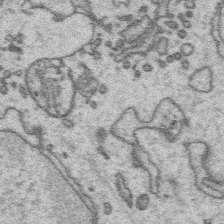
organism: Platynereis dumerilii